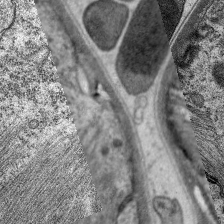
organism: C. elegans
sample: Pharynx